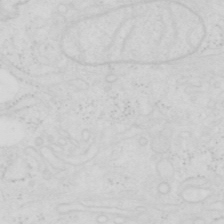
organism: Human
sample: SUM-159 cell